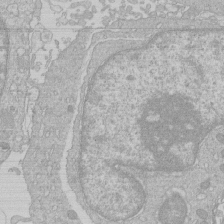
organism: Human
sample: Macrophage cells